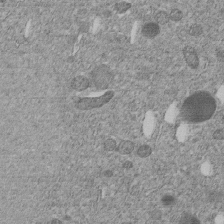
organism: C. elegans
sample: C. elegans embryo early stage